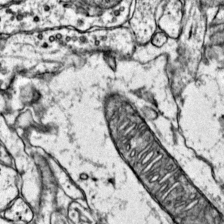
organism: Mouse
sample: Primary visual cortex